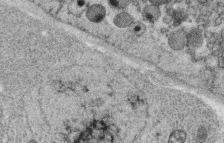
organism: C. elegans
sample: C. elegans oocyte; sperm cells